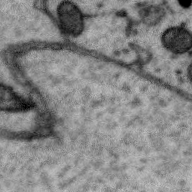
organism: Zebra finch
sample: Brain